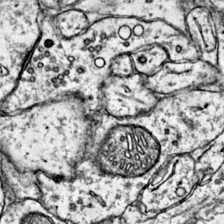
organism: Mouse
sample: Primary visual cortex